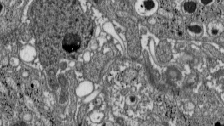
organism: C57BL Mouse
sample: Pancreatic islet